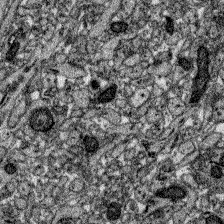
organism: Zebrafish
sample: Larval olfactory bulb